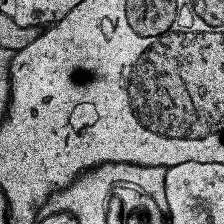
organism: Human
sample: Temporal Lobe